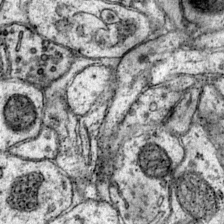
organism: Mouse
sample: Primary visual cortex